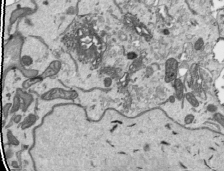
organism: Human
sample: Mitochondria in HCT116 cells